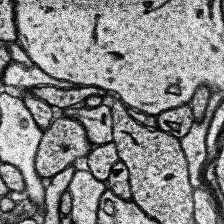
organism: Human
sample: Temporal Lobe